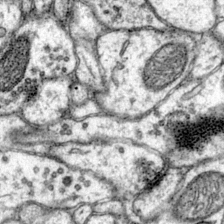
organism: Mouse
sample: Primary visual cortex